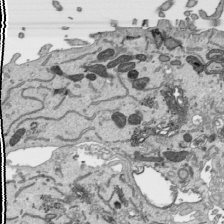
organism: Human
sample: Mitochondria in HCT116 cells